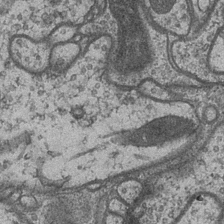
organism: Drosophila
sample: Optic medulla